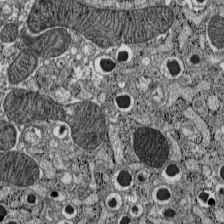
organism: C57BL Mouse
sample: Pancreatic islet